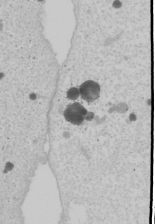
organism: Human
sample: Mitochondria in U2OS cells